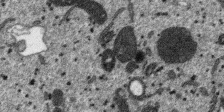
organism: Human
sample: Lung epithelial cells infected with SARS-CoV-2